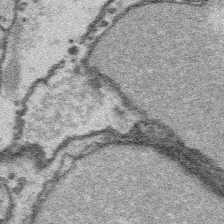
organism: Platynereis dumerilii